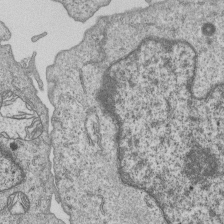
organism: Human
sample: MDA-MB-231 cells